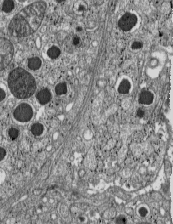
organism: C57BL Mouse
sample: Pancreatic islet